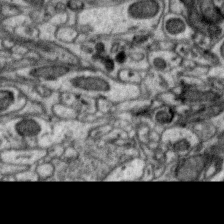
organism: Zebra finch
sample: Brain